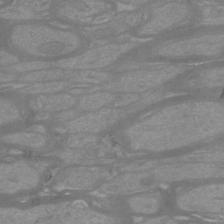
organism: Mouse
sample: Cortical neurons